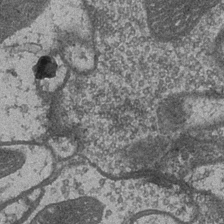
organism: Drosophila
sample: Optic medulla